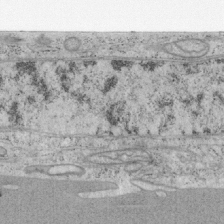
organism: Human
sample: HeLa cells